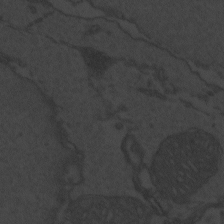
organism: Zebrafish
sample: Macrophage infected with Toxoplasma gondii